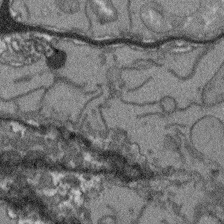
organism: Arabidopsis thaliana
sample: Root tip